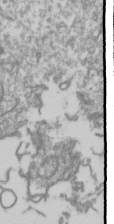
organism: Drosophila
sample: Cell division; meiosis; drosophila spermatocytes